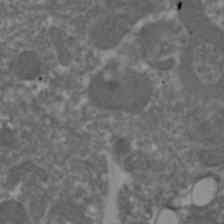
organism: Zebrafish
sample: Zebrafish embryo